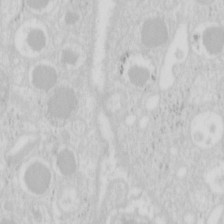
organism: Mouse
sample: Pancreas